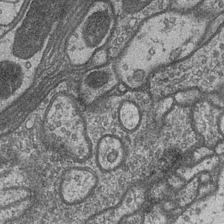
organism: Drosophila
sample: Optic medulla